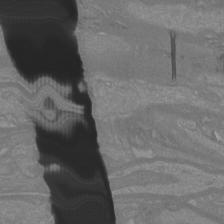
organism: Mouse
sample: Cortical neurons